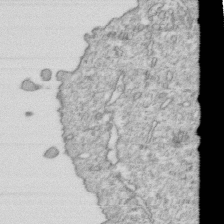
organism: Mouse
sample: Activated OT-1 CD8+ T cells